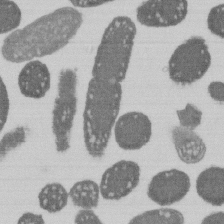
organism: E. coli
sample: Bacterial nucleoid